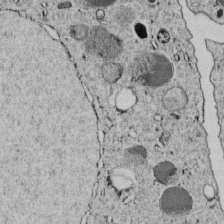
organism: C. elegans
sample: C. elegans embryo early stage